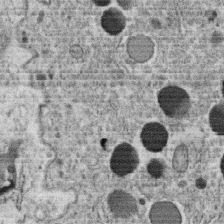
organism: C. elegans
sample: C. elegans oocyte; sperm cells